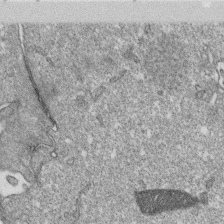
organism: African green monkey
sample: Vero E6 cells infected with SARS-CoV-2